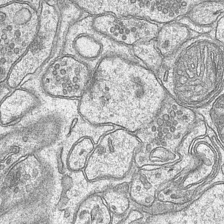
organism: Mouse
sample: CA1 Hippocampus